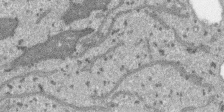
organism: Human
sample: Lung epithelial cells infected with SARS-CoV-2